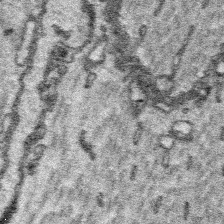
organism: Platynereis dumerilii